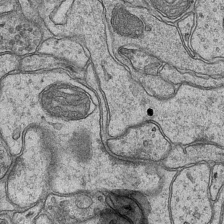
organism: Mouse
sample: CA1 Hippocampus